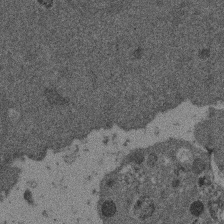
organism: Mouse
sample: Dividing mouse embryo 1 cell stage